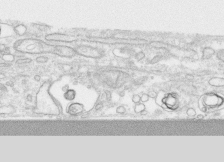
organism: Human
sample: CRL-1474